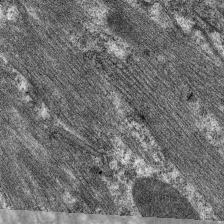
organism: C. elegans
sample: Pharynx